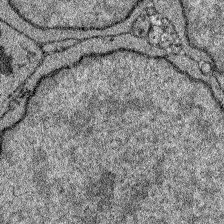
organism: Zebrafish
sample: Larval olfactory bulb